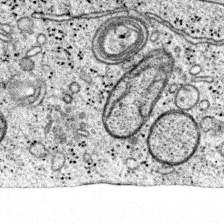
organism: Human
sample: HeLa cells